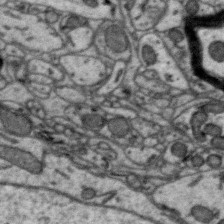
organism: Zebra finch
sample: Brain